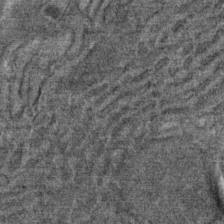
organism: Mouse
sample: Mouse Salivary gland